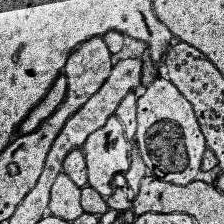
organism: Human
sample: Temporal Lobe